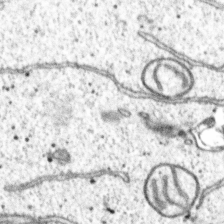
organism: Human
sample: HeLa cells